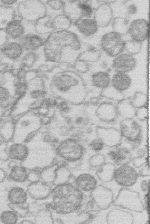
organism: Human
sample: Macrophage cells